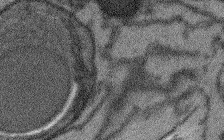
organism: Arabidopsis thaliana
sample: Root tip